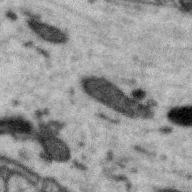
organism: Zebra finch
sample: Brain